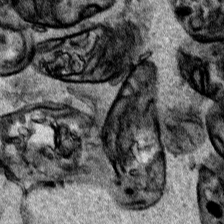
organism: Human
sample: Mitochondria in HCT116 cells